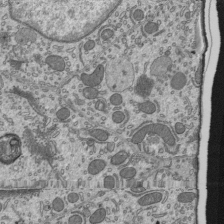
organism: Mouse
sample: Mouse epididymis efferent ductule cilia